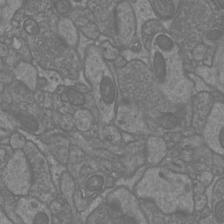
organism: Mouse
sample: Cortical neurons